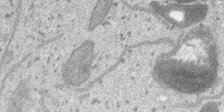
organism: Human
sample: Lung epithelial cells infected with SARS-CoV-2